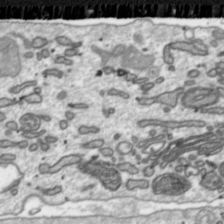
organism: Toxoplasma gondii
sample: Parasites in a vacuole inside a host cell